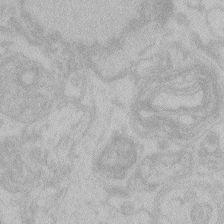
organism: Zebrafish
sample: Macrophage infected with Toxoplasma gondii